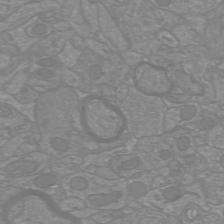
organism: Mouse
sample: Cortical neurons